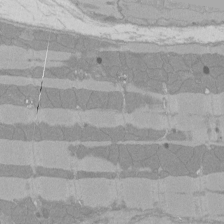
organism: Rat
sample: Left ventricle